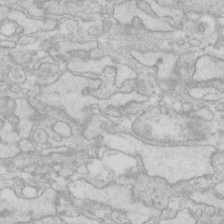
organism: Human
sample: Fibroblast cells